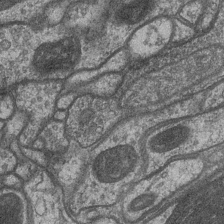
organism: Drosophila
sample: Optic medulla